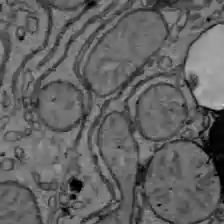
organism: C57BL Mouse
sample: Liver